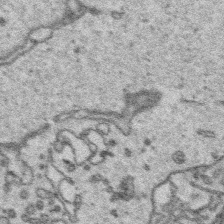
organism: Platynereis dumerilii